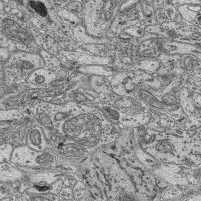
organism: Mouse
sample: Retina